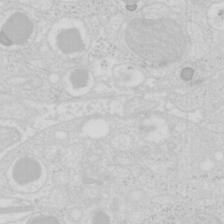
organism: Mouse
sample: Pancreas